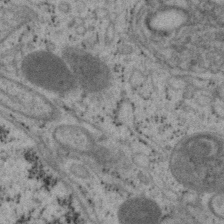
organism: Human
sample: HeLa cells